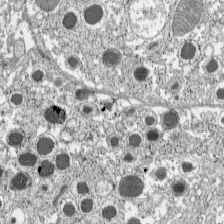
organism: C57BL Mouse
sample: Pancreatic islet